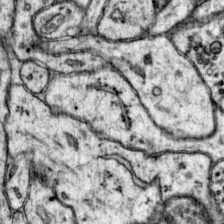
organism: Mouse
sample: Primary visual cortex